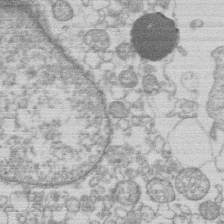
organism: Human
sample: Macrophage cells